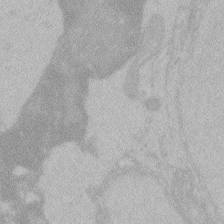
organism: Zebrafish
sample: Macrophage infected with Toxoplasma gondii